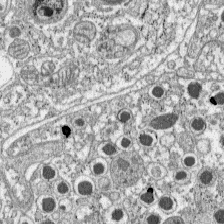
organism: C57BL Mouse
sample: Pancreatic islet